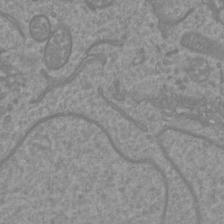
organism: Mouse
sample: Cortical neurons